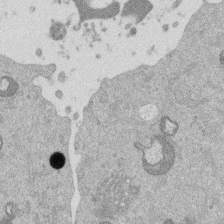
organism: Mouse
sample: Dividing mouse embryo 1 cell stage